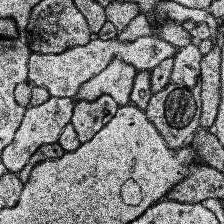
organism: Human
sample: Temporal Lobe